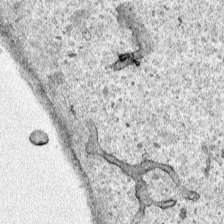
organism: Human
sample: Mitochondria in HCT116 cells